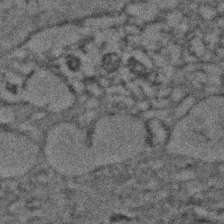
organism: Zebrafish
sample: Zebrafish embryo